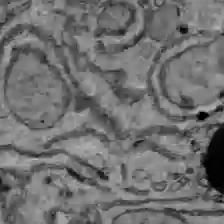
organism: C57BL Mouse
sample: Liver